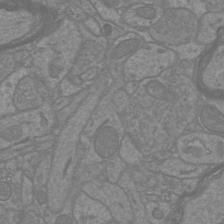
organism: Mouse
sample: Cortical neurons